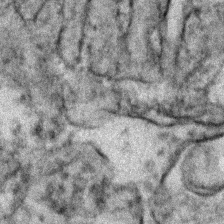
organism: Zebrafish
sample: Zebrafish embryo